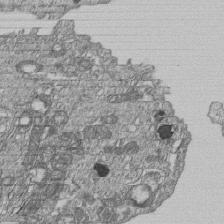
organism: Human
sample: MDA-MB-231 cells